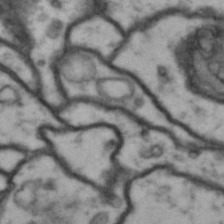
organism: Drosophila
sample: Brain